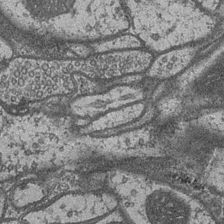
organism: Drosophila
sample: Optic medulla